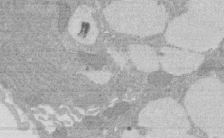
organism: Rat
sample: Salivary granule